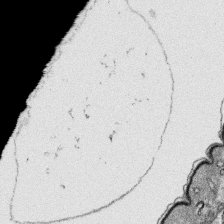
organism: Platynereis dumerilii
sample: Parapodia